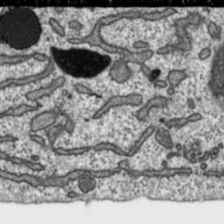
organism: Toxoplasma gondii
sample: Parasites in a vacuole inside a host cell